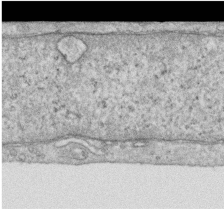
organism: Human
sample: Centriole in RPE cells